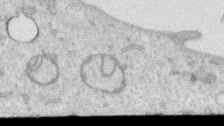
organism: Human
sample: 1205lu cells